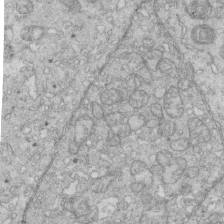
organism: Mouse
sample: Multiciliated cells